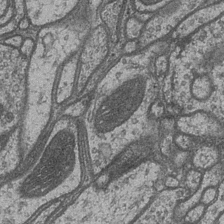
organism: Drosophila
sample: Optic medulla